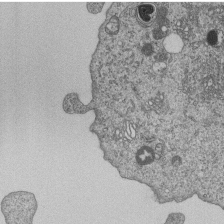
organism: Human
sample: MDA-MB-231 cells